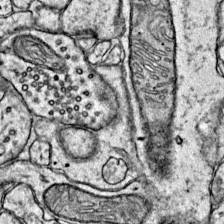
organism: Mouse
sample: Primary visual cortex